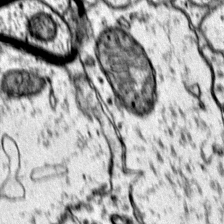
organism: Mouse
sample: Primary visual cortex